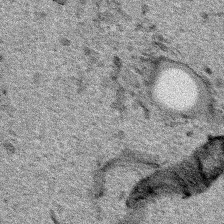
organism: Human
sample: Mitochondria in HCT116 cells